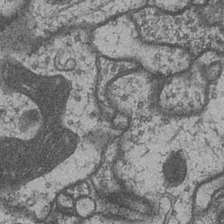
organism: Drosophila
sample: Optic medulla